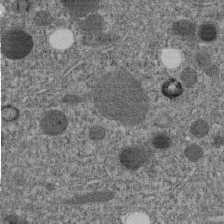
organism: C. elegans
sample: C. elegans embryo early stage